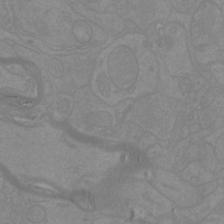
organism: Mouse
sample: Cortical neurons